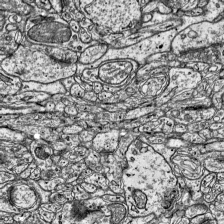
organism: Mouse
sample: Visual Cortex